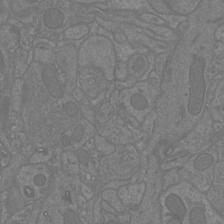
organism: Mouse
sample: Cortical neurons